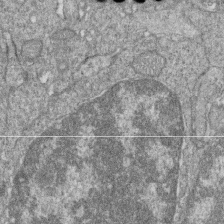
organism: Zebrafish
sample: Cilia; retinal pigment epithelium